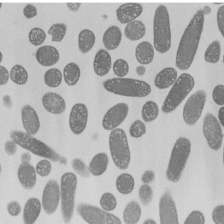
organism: E. coli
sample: Bacterial nucleoid